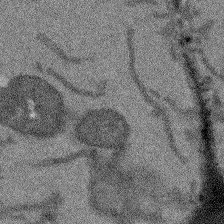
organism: Arabidopsis thaliana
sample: Root tip